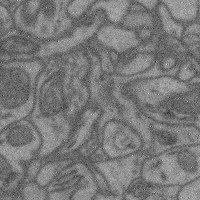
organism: Mouse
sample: Cerebral cortex